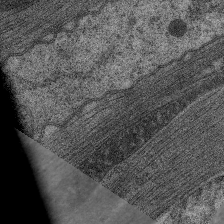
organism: C. elegans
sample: Pharynx